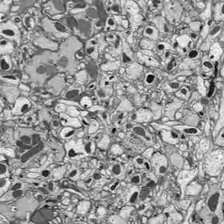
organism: Drosophila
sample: Optic lobe